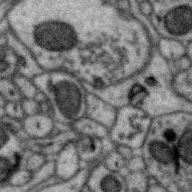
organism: Zebra finch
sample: Brain